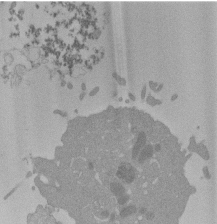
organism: Mouse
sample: Activated Pmel transgenic CD8+ T Cells